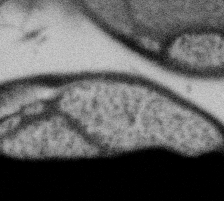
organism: Gemmata obscuriglobus